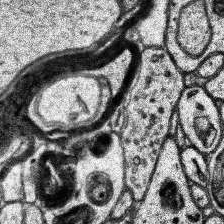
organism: Human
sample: Temporal Lobe